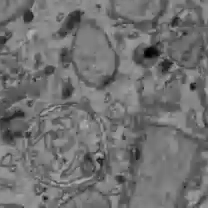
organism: C57BL Mouse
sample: Liver